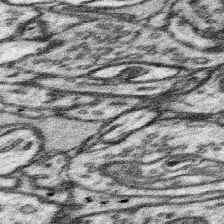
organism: Mouse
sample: Somatosensory cortex neuropil